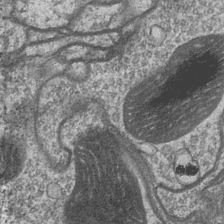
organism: Drosophila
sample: Optic medulla